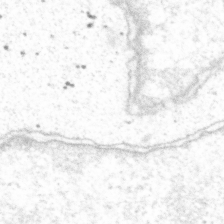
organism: Human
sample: HeLa cells